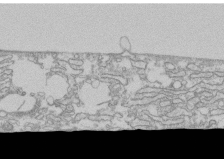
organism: Human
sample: CRL-1474